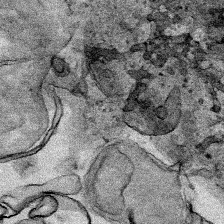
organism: Human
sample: Mitochondria in HCT116 cells